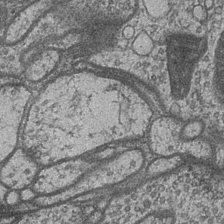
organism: Drosophila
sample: Optic medulla